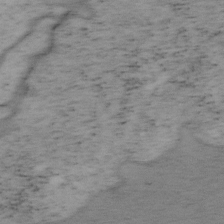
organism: Mouse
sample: OT-I killer T cells with ID8 ovarian cancer cells